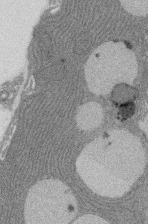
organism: Rat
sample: Salivary granule